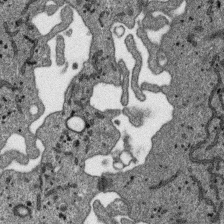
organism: Human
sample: Lung epithelial cells infected with SARS-CoV-2